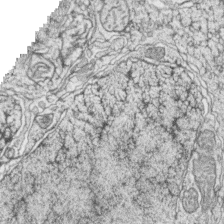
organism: Zebrafish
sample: synaptic ribbons in rod cells and cone cells